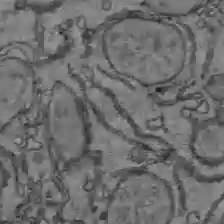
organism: C57BL Mouse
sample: Liver